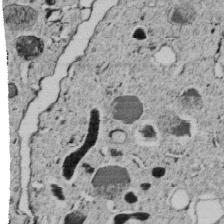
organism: C. elegans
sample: C. elegans embryo early stage